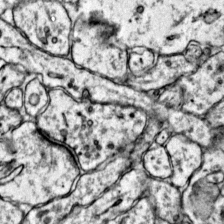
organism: Mouse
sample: Primary visual cortex